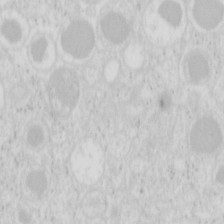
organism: Mouse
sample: Pancreas